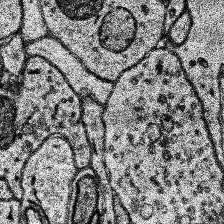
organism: Human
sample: Temporal Lobe